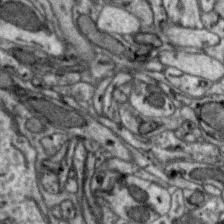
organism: Zebra finch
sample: Brain